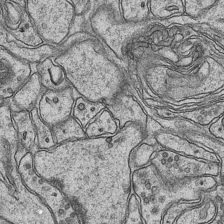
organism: Mouse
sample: CA1 Hippocampus